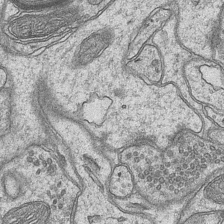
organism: Mouse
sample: CA1 Hippocampus